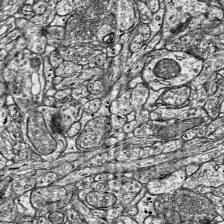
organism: Mouse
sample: Visual Cortex